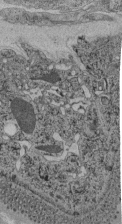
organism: C. elegans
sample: C. elegans pharynx